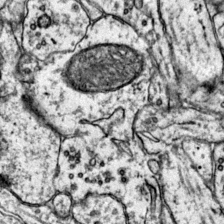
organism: Mouse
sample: Primary visual cortex